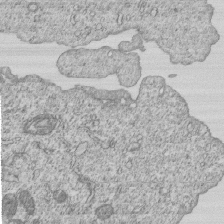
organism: Human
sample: MDA-MB-231 cells